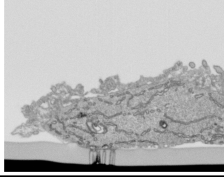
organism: Human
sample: Mitochondria in HCT116 cells